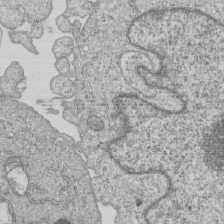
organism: Human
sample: MDA-MB-231 cells